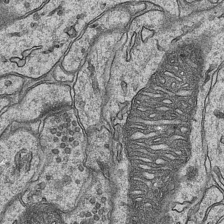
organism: Mouse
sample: CA1 Hippocampus